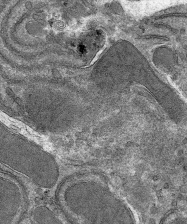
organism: Mouse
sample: Mouse hepatocytes